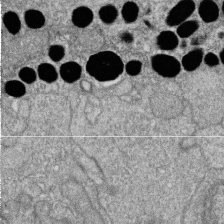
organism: Zebrafish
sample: Cilia; retinal pigment epithelium